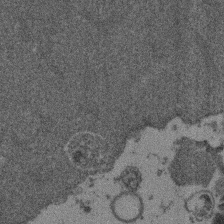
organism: Mouse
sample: Dividing mouse embryo 1 cell stage